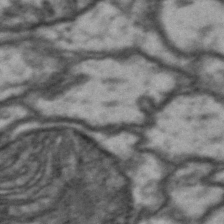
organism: Drosophila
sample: Brain